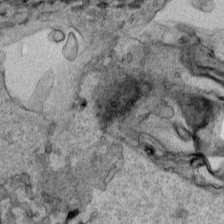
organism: Human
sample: Mitochondria in HCT116 cells